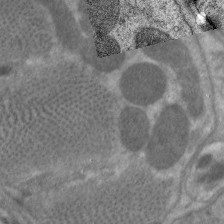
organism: C. elegans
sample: Pharynx